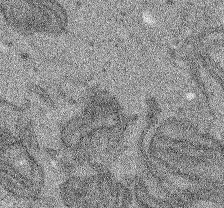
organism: Human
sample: HeLa cells